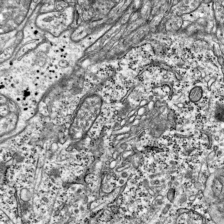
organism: Mouse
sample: Visual Cortex